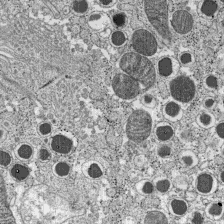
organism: C57BL Mouse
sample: Pancreatic islet